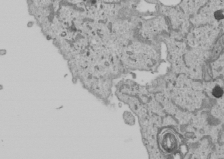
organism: Human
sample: Mitochondria in U2OS cells